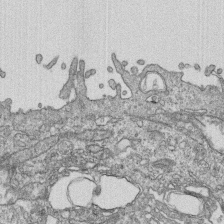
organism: Human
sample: HeLa cell HIV synapse